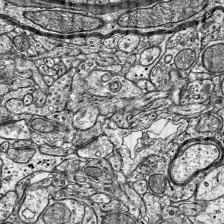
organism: Mouse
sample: Visual Cortex